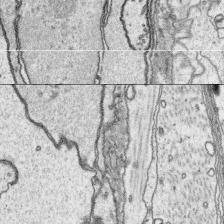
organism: Platynereis dumerilii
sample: Parapodia